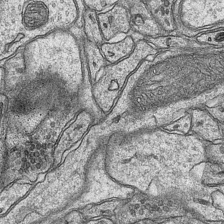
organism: Mouse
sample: CA1 Hippocampus